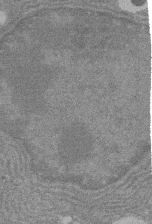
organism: Rat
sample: Salivary granule